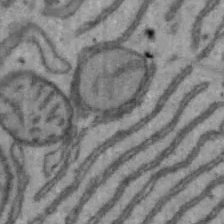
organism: Mouse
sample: Liver